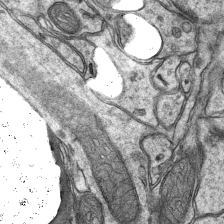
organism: Mouse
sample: CA1 Hippocampus